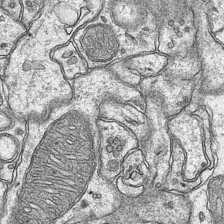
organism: Mouse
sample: CA1 Hippocampus